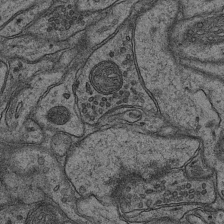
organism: Mouse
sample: CA1 Hippocampus